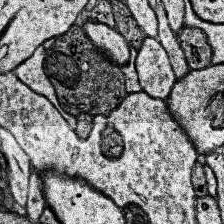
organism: Human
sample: Temporal Lobe